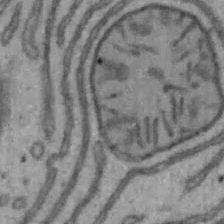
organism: Mouse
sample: Liver